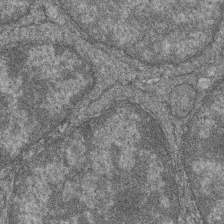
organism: Zebrafish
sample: Cilia; retinal pigment epithelium